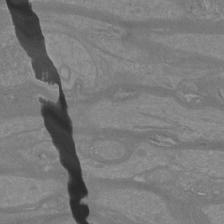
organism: Mouse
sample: Cortical neurons